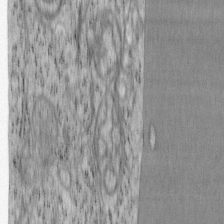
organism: Human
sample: HeLa cells